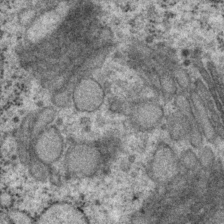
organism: P. pacificus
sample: Pharynx